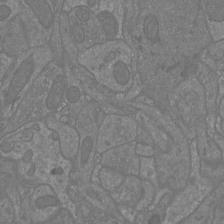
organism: Mouse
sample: Cortical neurons